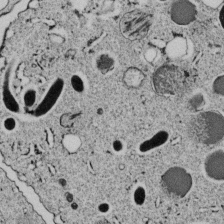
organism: C. elegans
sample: C. elegans embryo early stage